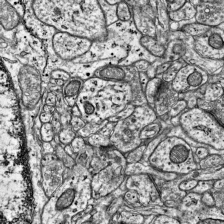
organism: Mouse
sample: Visual Cortex